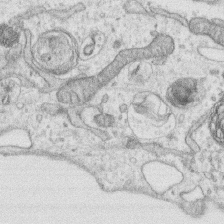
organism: Human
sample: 1205lu cells